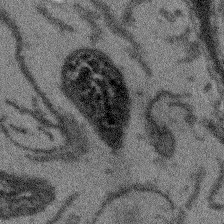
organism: Arabidopsis thaliana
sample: Root tip